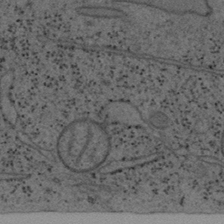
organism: Human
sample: HeLa cells